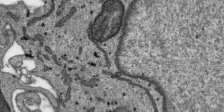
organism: Human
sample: Lung epithelial cells, uninfected (mock) control